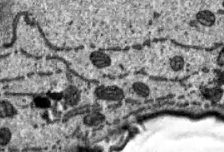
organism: Human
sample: HeLa cells